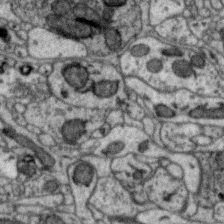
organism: Zebra finch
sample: Brain